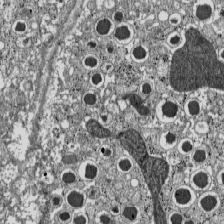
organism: C57BL Mouse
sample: Pancreatic islet